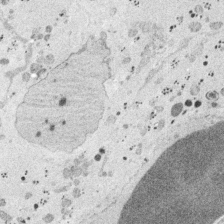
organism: Embia sp.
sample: Silk gland